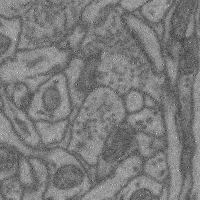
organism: Mouse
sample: Cerebral cortex